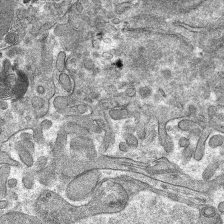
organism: Mouse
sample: Mouse hepatocytes